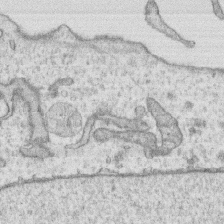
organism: Human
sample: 1205lu cells